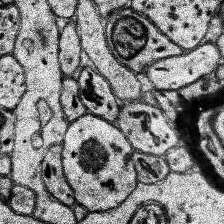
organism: Human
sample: Temporal Lobe